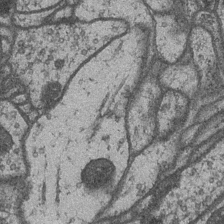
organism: Drosophila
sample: Optic medulla